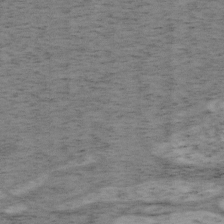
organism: Mouse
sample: OT-I killer T cells with ID8 ovarian cancer cells